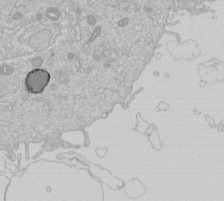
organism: Human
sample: Macrophage cells